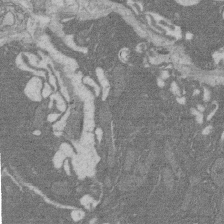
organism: Rat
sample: Salivary granule